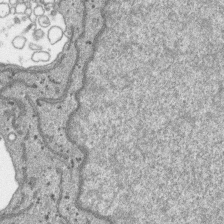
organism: Human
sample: Lung epithelial cells infected with SARS-CoV-2